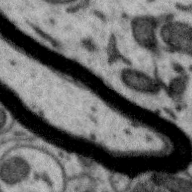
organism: Zebra finch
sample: Brain